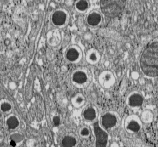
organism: C57BL Mouse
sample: Pancreatic islet